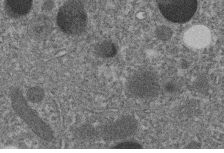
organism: C. elegans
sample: C. elegans embryo early stage